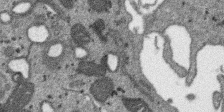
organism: Human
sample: Lung epithelial cells infected with SARS-CoV-2